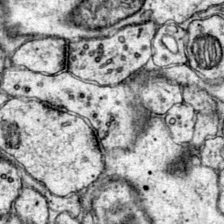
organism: Mouse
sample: Primary visual cortex